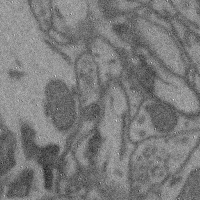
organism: Mouse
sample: Cerebral cortex